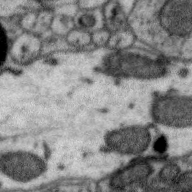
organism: Zebra finch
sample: Brain